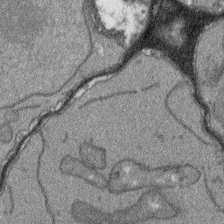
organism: Arabidopsis thaliana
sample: Root tip